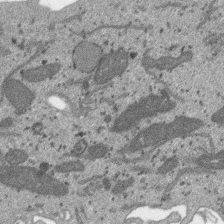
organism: Human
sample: Lung epithelial cells infected with SARS-CoV-2